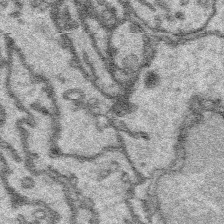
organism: Platynereis dumerilii